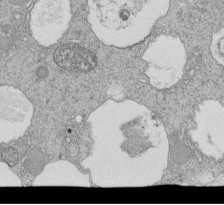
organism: Tetrahymena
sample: Cilia in tetrahymena